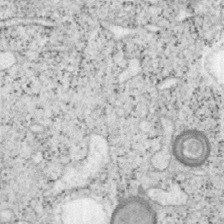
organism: Mouse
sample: OT-I killer T cells with ID8 ovarian cancer cells